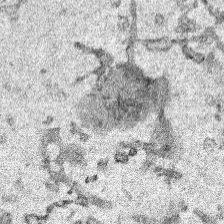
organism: Human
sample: Mitochondria in HCT116 cells